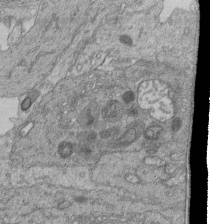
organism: Human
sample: Retinal organoid Rod and Cone cells